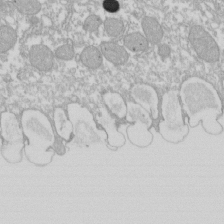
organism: Xenopus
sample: Cilia; centrioles in frog embryo cells